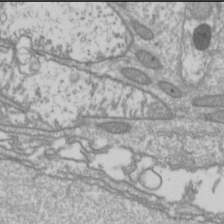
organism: Drosophila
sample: Cell division; meiosis; drosophila spermatocytes